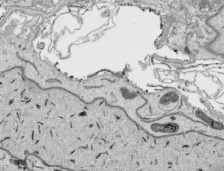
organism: Human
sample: Mitochondria in HCT116 cells